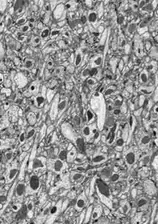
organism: Drosophila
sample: Optic lobe